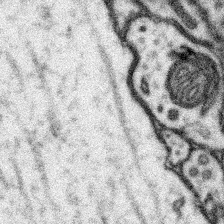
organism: Mouse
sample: Somatosensory cortex neuropil